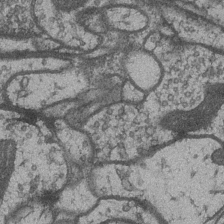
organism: Drosophila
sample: Optic medulla